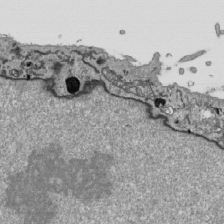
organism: Human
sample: Mitochondria in HCT116 cells